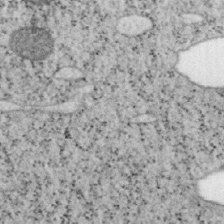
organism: Mouse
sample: OT-I killer T cells with ID8 ovarian cancer cells